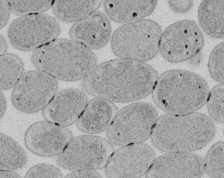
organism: E. coli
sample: Bacterial nucleoid